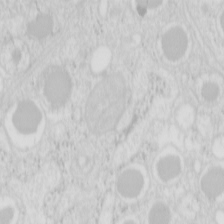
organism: Mouse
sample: Pancreas